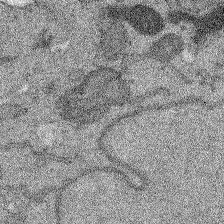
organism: Human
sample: HeLa cells